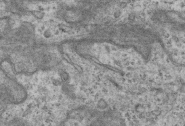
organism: Mouse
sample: Centriole in ependymal cells